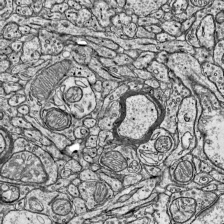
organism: Mouse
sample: Visual Cortex